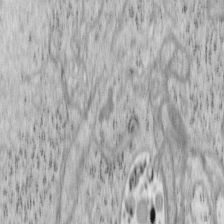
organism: Human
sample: HeLa cells